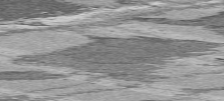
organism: C57BL Mouse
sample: Heart